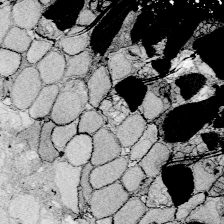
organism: Zebrafish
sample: Whole-Brain